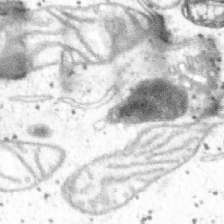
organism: Human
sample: HeLa cells